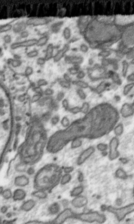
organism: Toxoplasma gondii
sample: Parasites in a vacuole inside a host cell